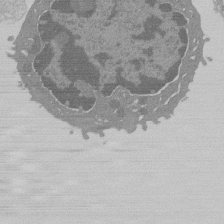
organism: Mouse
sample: Activated Pmel transgenic CD8+ T Cells